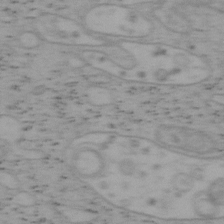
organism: Mouse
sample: OT-I killer T cells with ID8 ovarian cancer cells